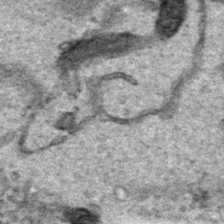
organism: Human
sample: Mitochondria in HCT116 cells